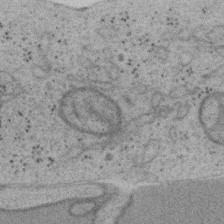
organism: Human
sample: HeLa cells